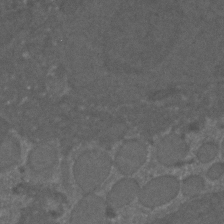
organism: C. elegans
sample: C. elegans embryo